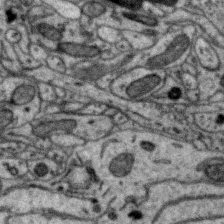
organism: Zebra finch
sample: Brain